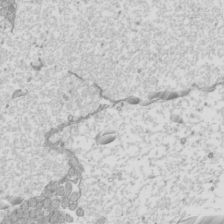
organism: Mouse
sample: Cilia; mouse epididymis